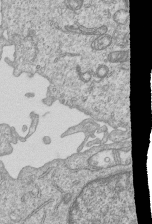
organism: Human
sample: MDA-MB-231 cells